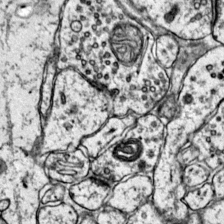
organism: Mouse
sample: Primary visual cortex